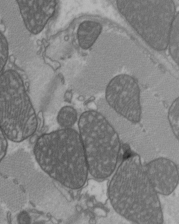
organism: C57BL Mouse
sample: Heart